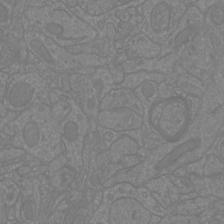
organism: Mouse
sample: Cortical neurons